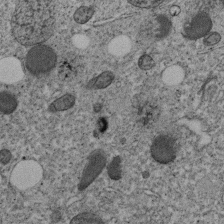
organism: C. elegans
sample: C. elegans embryo early stage